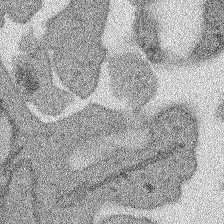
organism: Human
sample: HeLa cells